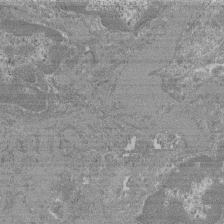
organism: Mouse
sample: Glomerulus